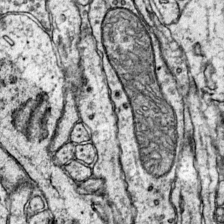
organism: Mouse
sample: Primary visual cortex